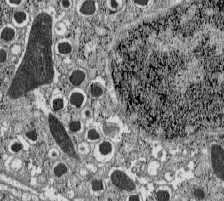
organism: C57BL Mouse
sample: Pancreatic islet